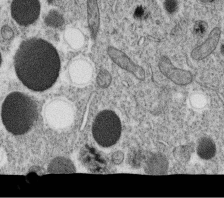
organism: C. elegans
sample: C. elegans oocyte; sperm cells